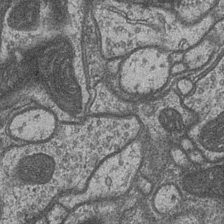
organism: Drosophila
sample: Optic medulla